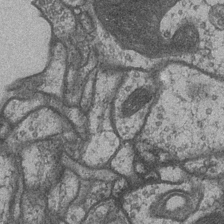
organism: Drosophila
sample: Optic medulla